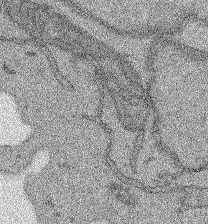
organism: Human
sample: HeLa cells